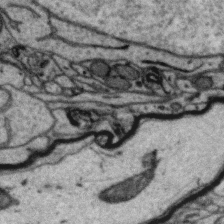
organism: Zebra finch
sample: Brain